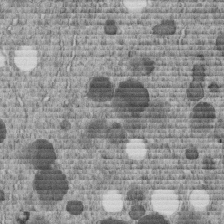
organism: C. elegans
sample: C. elegans embryo early stage